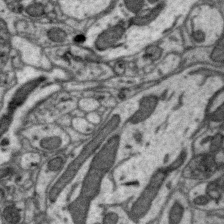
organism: Zebra finch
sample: Brain